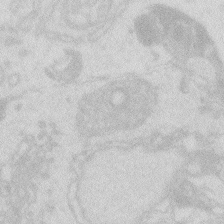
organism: Zebrafish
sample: Macrophage